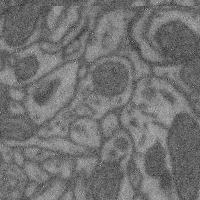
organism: Mouse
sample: Cerebral cortex